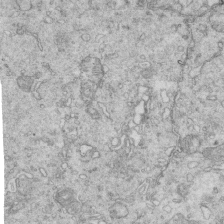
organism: Mouse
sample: Multiciliated cells